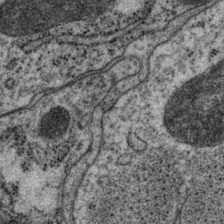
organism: P. pacificus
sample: Pharynx